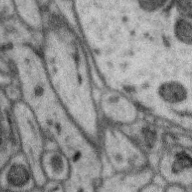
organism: Zebra finch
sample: Brain